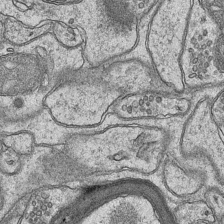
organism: Mouse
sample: CA1 Hippocampus